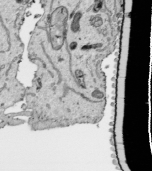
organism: Human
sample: Mitochondria in HCT116 cells